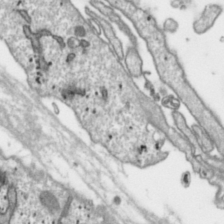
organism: Toxoplasma gondii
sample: Parasites in a vacuole inside a host cell